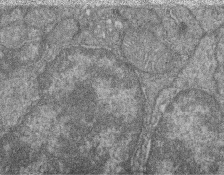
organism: Zebrafish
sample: Cilia; retinal pigment epithelium